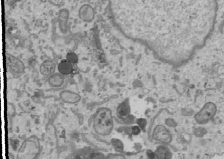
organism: Human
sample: Mitochondria in U2OS cells